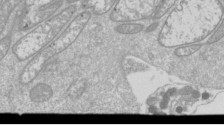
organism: Drosophila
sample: Cell division; meiosis; drosophila spermatocytes